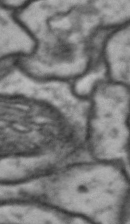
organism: Drosophila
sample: Brain